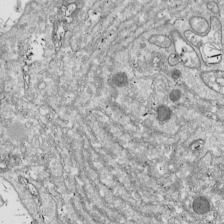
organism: Drosophila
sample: Cell division; meiosis; drosophila spermatocytes